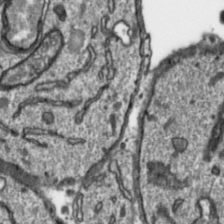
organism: Toxoplasma gondii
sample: Parasites in a vacuole inside a host cell